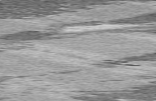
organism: C57BL Mouse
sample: Heart